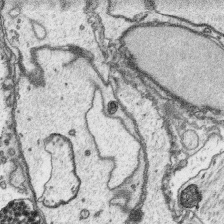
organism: Platynereis dumerilii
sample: Parapodia